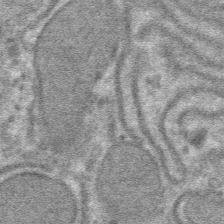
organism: Mouse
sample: Mouse hepatocytes